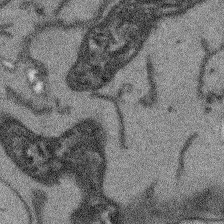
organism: Arabidopsis thaliana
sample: Root tip